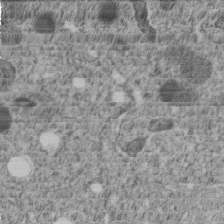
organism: C. elegans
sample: C. elegans embryo early stage